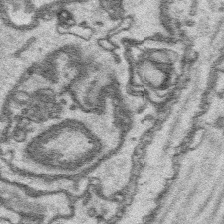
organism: Platynereis dumerilii